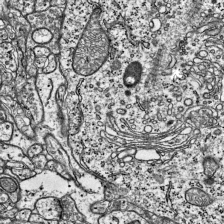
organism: Mouse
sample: Visual Cortex